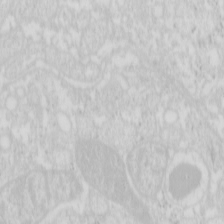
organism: Mouse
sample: Pancreas